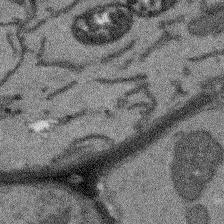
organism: Arabidopsis thaliana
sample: Root tip